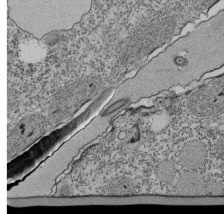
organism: Tetrahymena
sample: Cilia in tetrahymena